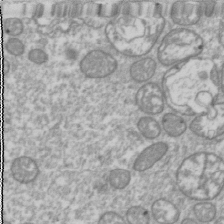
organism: Drosophila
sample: Cell division; meiosis; drosophila spermatocytes